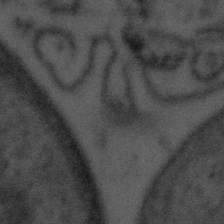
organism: Tuwongella immobilis